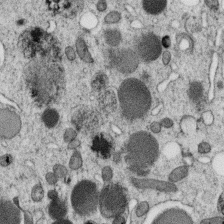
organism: C. elegans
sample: C. elegans oocyte; sperm cells